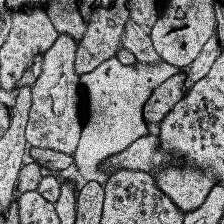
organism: Human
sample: Temporal Lobe